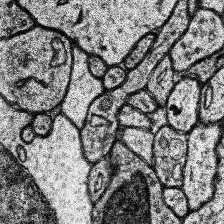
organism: Human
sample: Temporal Lobe